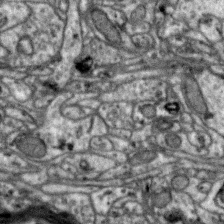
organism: Zebra finch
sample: Brain